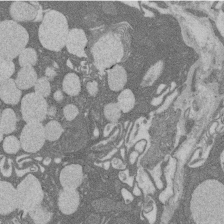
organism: Rat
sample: Salivary granule